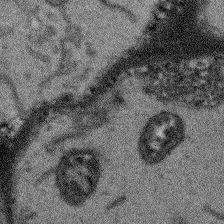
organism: Arabidopsis thaliana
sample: Root tip